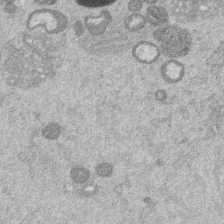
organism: Mouse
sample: Dividing mouse embryo 1 cell stage